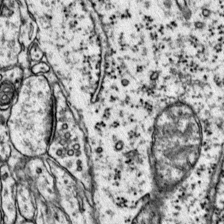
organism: Mouse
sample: Primary visual cortex